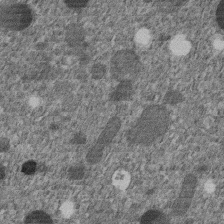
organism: C. elegans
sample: C. elegans embryo early stage